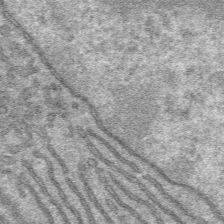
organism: Mouse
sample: Mouse hepatocytes